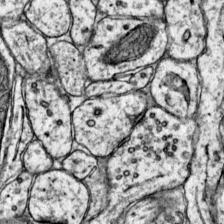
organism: Mouse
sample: Primary visual cortex